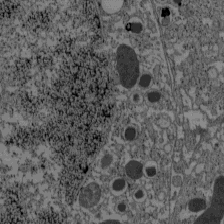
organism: C57BL Mouse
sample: Pancreatic islet